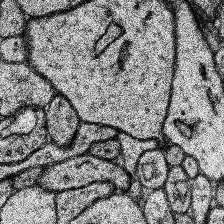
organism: Human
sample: Temporal Lobe